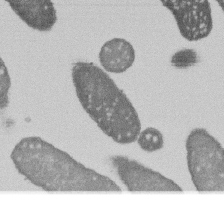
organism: E. coli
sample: Bacterial nucleoid